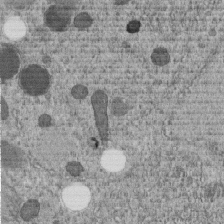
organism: C. elegans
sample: C. elegans embryo early stage